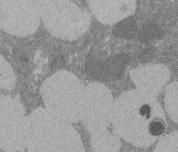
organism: Rat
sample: Salivary granule